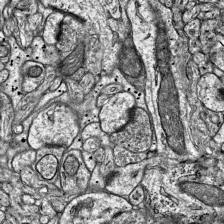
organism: Mouse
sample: Visual Cortex